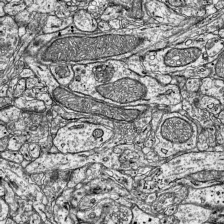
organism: Mouse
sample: Visual Cortex